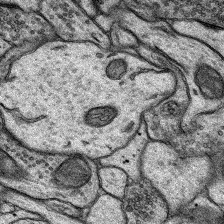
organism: Rat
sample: Hippocampus